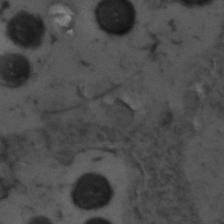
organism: Zebrafish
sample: Zebrafish embryo